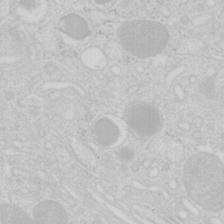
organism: Mouse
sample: Pancreas